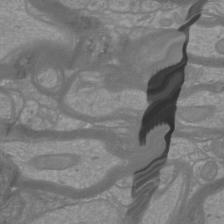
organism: Mouse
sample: Cortical neurons